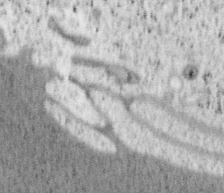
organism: Mouse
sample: OT-I killer T cells with ID8 ovarian cancer cells